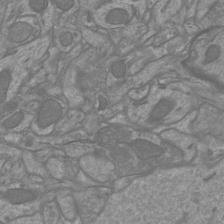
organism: Mouse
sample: Cortical neurons